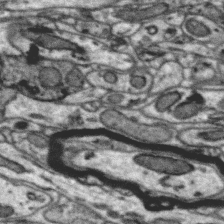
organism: Zebra finch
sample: Brain